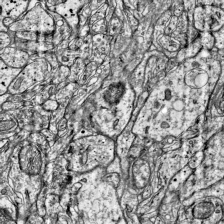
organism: Mouse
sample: Visual Cortex